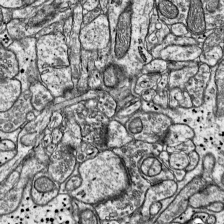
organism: Mouse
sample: Visual Cortex